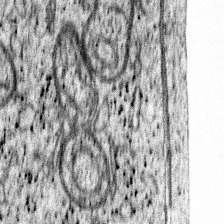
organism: Human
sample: HeLa cells